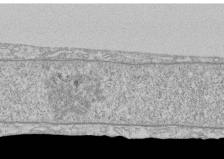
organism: Human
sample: CRL-1474